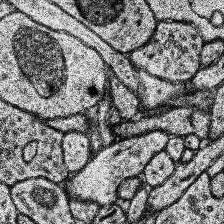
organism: Human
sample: Temporal Lobe